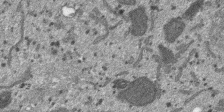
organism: Human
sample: Lung epithelial cells infected with SARS-CoV-2